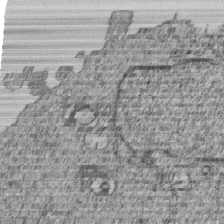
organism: Human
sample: MDA-MB-231 cells